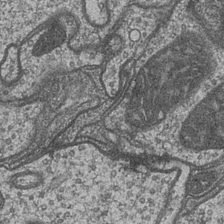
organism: Drosophila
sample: Optic medulla